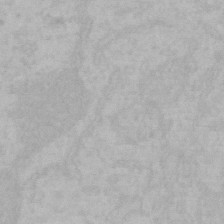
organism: Mouse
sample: Choroid plexus